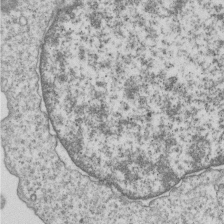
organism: Human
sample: MDA-MB-231 cells